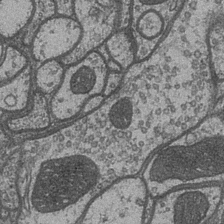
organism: Drosophila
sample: Optic medulla